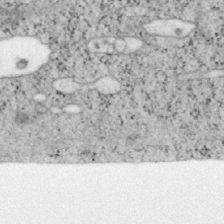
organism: Mouse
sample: OT-I killer T cells with ID8 ovarian cancer cells